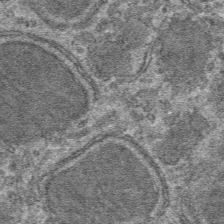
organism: Mouse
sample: Mouse hepatocytes